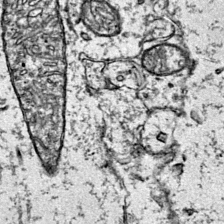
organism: Mouse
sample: Primary visual cortex